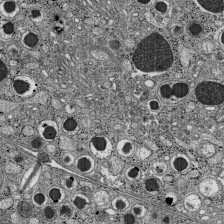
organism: C57BL Mouse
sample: Pancreatic islet